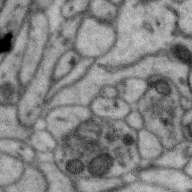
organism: Zebra finch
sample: Brain